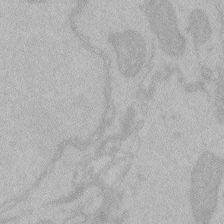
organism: Zebrafish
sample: Macrophage infected with Toxoplasma gondii